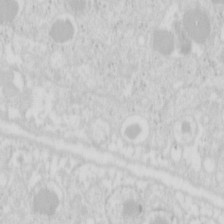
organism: Mouse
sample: Pancreas